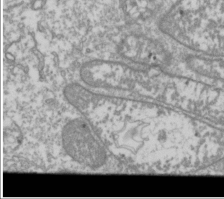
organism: Drosophila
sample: Cell division; meiosis; drosophila spermatocytes